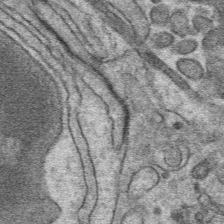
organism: Mouse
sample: Mouse hepatocytes